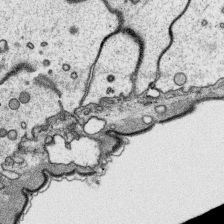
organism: Platynereis dumerilii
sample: Parapodia